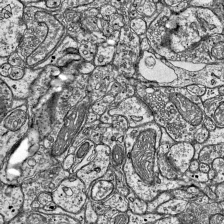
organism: Mouse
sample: Visual Cortex